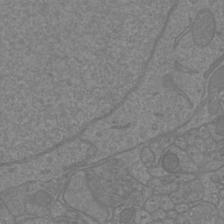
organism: Mouse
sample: Cortical neurons